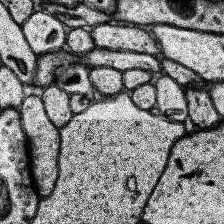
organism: Human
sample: Temporal Lobe